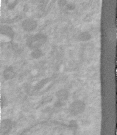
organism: Human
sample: Centriole in RPE cells